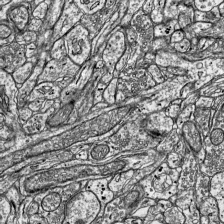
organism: Mouse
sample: Visual Cortex